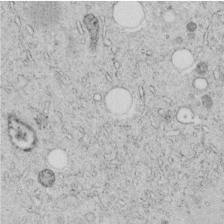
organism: C. elegans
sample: C. elegans embryo early stage